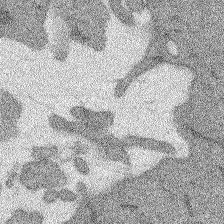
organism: Human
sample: HeLa cells